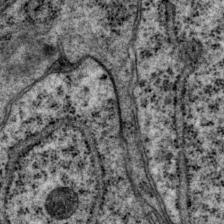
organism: P. pacificus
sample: Pharynx